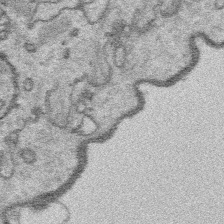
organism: Platynereis dumerilii